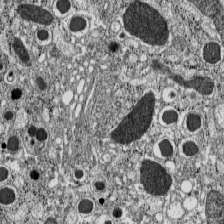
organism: C57BL Mouse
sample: Pancreatic islet